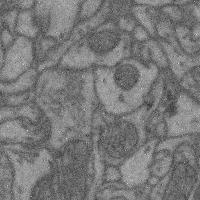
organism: Mouse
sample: Cerebral cortex